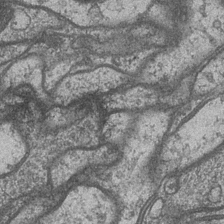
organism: Drosophila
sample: Optic medulla